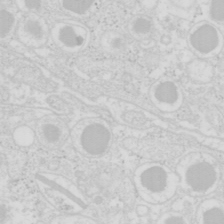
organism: Mouse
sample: Pancreas